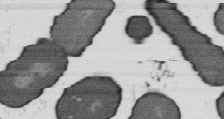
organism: B. subtilis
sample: Bacterial spore